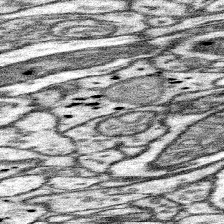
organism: Mouse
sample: Somatosensory cortex neuropil